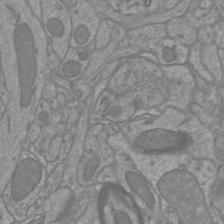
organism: Mouse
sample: Cortical neurons